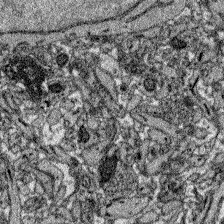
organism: Zebrafish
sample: Larval olfactory bulb